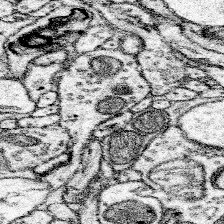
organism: Mouse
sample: Somatosensory cortex neuropil